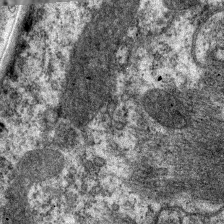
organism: C. elegans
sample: Pharynx